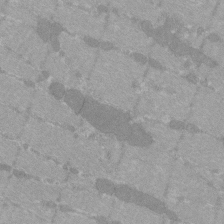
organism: C57BL Mouse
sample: Tibialis anterior muscle cell